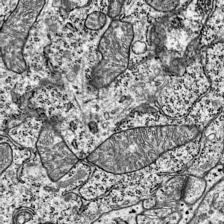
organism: Mouse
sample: Visual Cortex